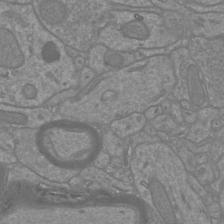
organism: Mouse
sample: Cortical neurons